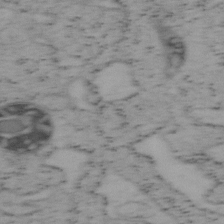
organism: Mouse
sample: OT-I killer T cells with ID8 ovarian cancer cells